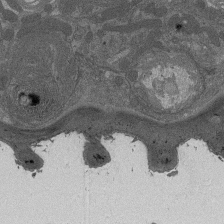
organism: Drosophila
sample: Antenna